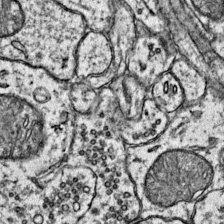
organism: Mouse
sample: Primary visual cortex